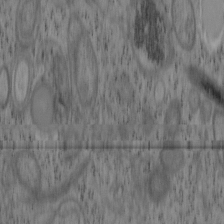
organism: Human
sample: HeLa cells